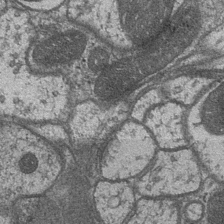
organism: Drosophila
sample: Optic medulla